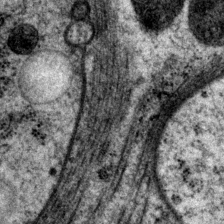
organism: P. pacificus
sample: Pharynx